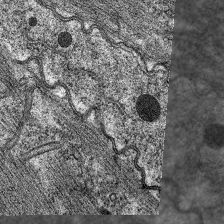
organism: C. elegans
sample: Pharynx